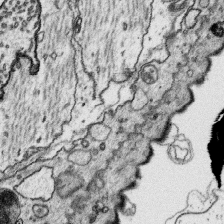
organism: Platynereis dumerilii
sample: Parapodia